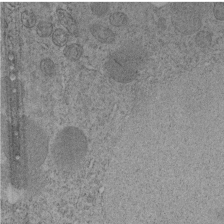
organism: C. elegans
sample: C. elegans embryo early stage